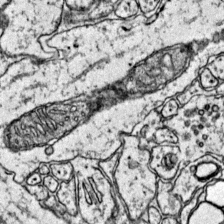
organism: Mouse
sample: Primary visual cortex